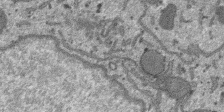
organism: Human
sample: Lung epithelial cells infected with SARS-CoV-2